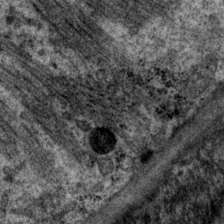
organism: P. pacificus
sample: Pharynx